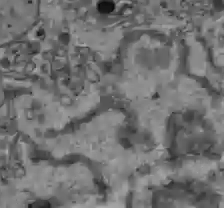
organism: C57BL Mouse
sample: Liver